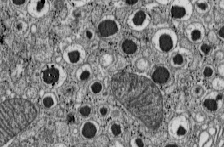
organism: C57BL Mouse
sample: Pancreatic islet